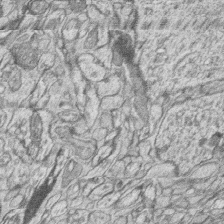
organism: Zebrafish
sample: synaptic ribbons in rod cells and cone cells